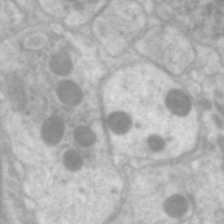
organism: C. elegans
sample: Pharynx